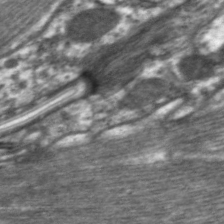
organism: C. elegans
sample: Pharynx